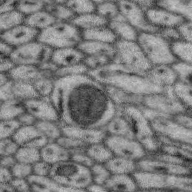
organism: Zebra finch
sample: Brain